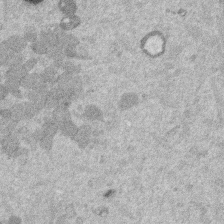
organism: Mouse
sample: Dividing mouse embryo 1 cell stage